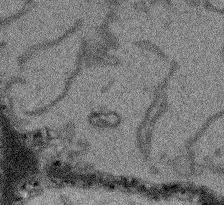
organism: Arabidopsis thaliana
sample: Root tip